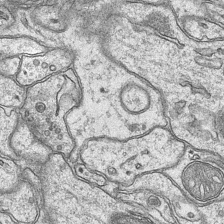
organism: Mouse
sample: CA1 Hippocampus